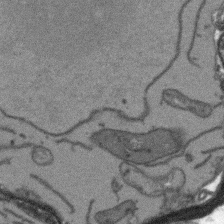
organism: Arabidopsis thaliana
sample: Root tip